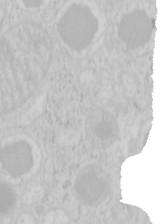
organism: Mouse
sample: Pancreas